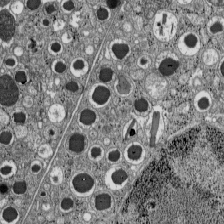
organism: C57BL Mouse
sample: Pancreatic islet